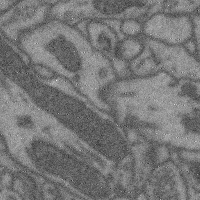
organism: Mouse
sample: Cerebral cortex